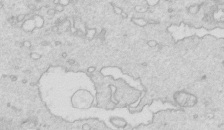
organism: Mouse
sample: Multiciliated cells